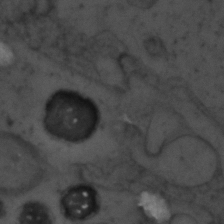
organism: Zebrafish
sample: Zebrafish embryo